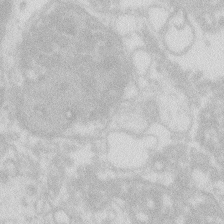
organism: Zebrafish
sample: Macrophage